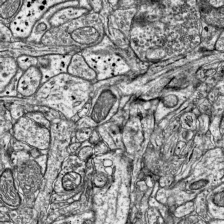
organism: Mouse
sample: Visual Cortex